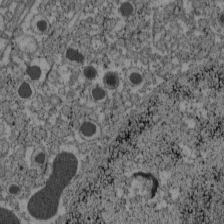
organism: C57BL Mouse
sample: Pancreatic islet